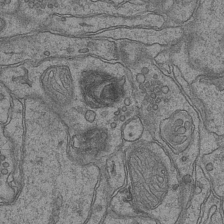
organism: Mouse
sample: CA1 Hippocampus